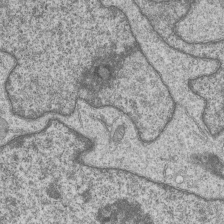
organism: Human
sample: MDA-MB-231 cells